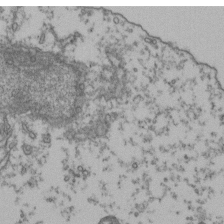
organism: Human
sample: Activated Jurkat CD4+ T cells